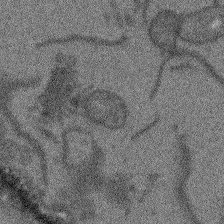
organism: Arabidopsis thaliana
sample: Root tip